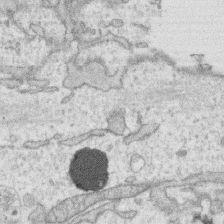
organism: Human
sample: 1205lu cells